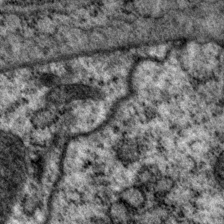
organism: P. pacificus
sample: Pharynx